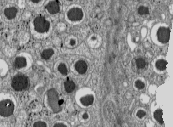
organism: C57BL Mouse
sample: Pancreatic islet